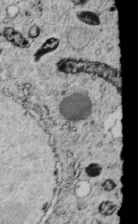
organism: C. elegans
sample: C. elegans embryo early stage